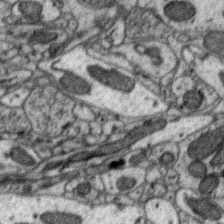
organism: Zebra finch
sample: Brain